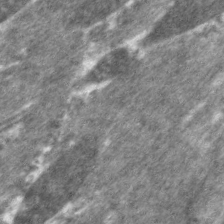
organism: C. elegans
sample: Pharynx